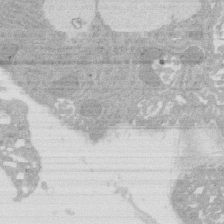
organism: Rat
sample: Salivary granule